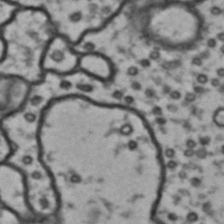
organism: Drosophila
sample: Brain